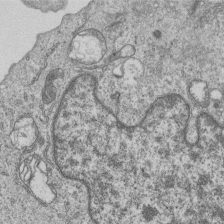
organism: Human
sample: MDA-MB-231 cells